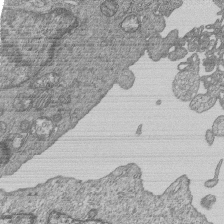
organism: Human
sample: MDA-MB-231 cells